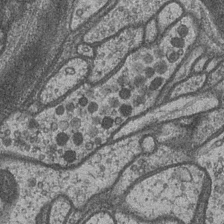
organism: Drosophila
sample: Optic medulla